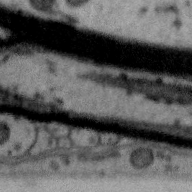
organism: Zebra finch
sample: Brain